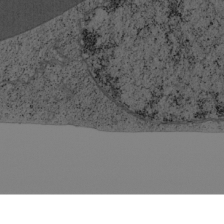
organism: African green monkey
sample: COS-7 cells